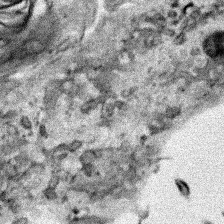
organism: Human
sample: Mitochondria in HCT116 cells